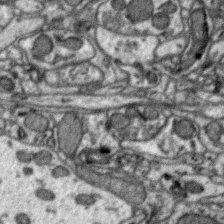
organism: Zebra finch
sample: Brain